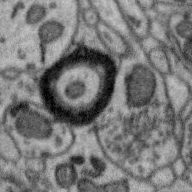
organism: Zebra finch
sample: Brain